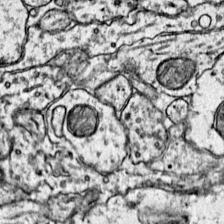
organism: Mouse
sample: Primary visual cortex